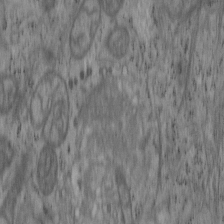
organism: Human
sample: HeLa cells